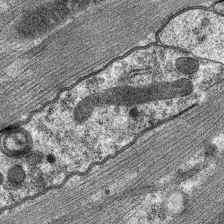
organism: C. elegans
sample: Pharynx